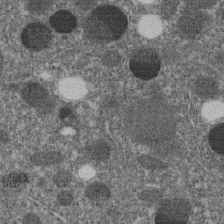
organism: C. elegans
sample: C. elegans embryo early stage